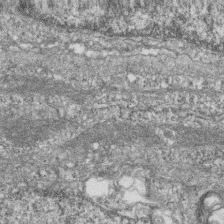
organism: Zebrafish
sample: Cilia; retinal pigment epithelium